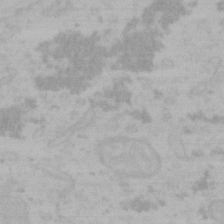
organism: Mouse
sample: Choroid plexus